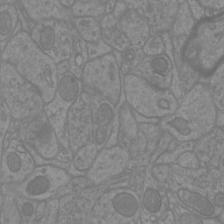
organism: Mouse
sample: Cortical neurons